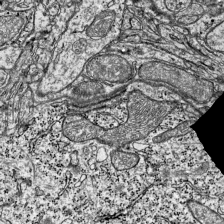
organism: Mouse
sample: Visual Cortex